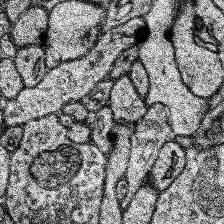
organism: Human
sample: Temporal Lobe